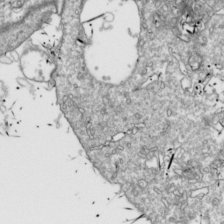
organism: Drosophila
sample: Cell division; meiosis; drosophila spermatocytes